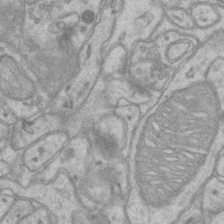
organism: Mouse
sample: CA1 Hippocampus